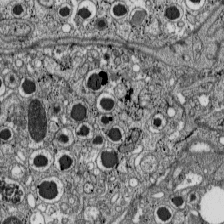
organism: C57BL Mouse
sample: Pancreatic islet